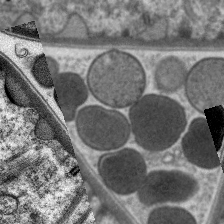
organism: C. elegans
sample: Pharynx